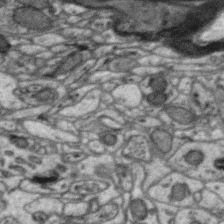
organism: Zebra finch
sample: Brain